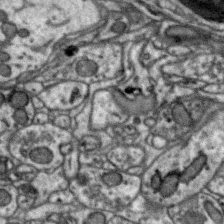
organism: Zebra finch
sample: Brain